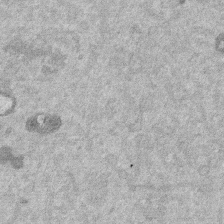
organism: Mouse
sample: Dividing mouse embryo 1 cell stage